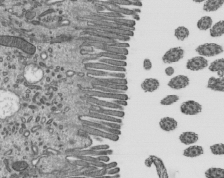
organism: Mouse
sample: Mouse epididymis efferent ductule cilia